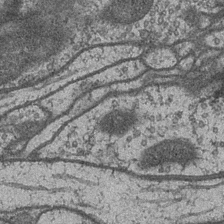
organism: Drosophila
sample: Optic medulla